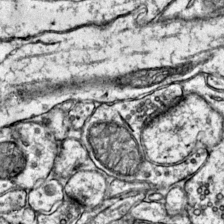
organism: Mouse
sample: Primary visual cortex